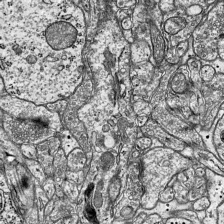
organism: Mouse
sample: Visual Cortex